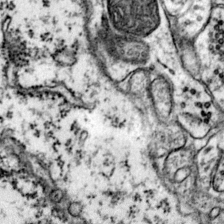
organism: Mouse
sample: Primary visual cortex